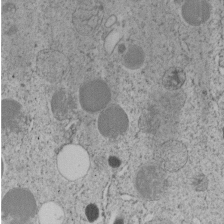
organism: C. elegans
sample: C. elegans embryo early stage